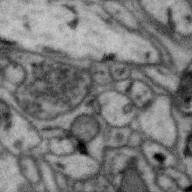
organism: Zebra finch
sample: Brain